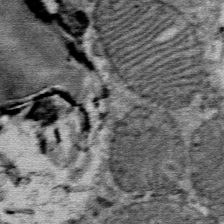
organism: Mouse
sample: Mouse Salivary gland